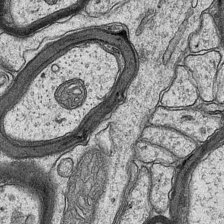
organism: Mouse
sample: CA1 Hippocampus